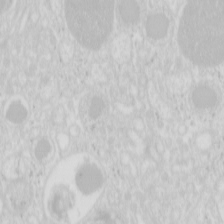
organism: Mouse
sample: Pancreas